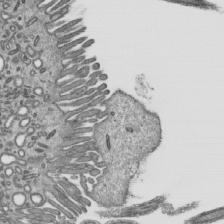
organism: Mouse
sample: Mouse epididymis efferent ductule cilia